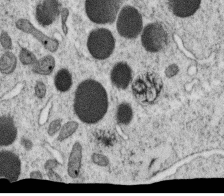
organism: C. elegans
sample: C. elegans oocyte; sperm cells